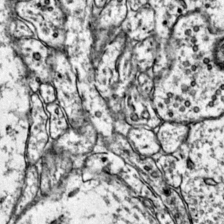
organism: Mouse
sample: Primary visual cortex